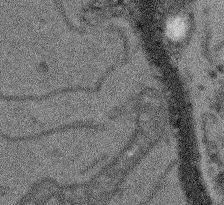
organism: Arabidopsis thaliana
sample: Root tip